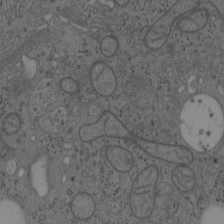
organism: Mouse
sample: OT-I killer T cells with ID8 ovarian cancer cells